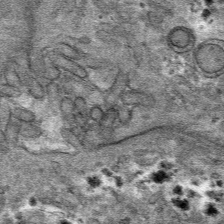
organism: Mouse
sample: Mouse hepatocytes